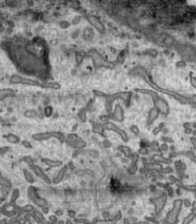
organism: Toxoplasma gondii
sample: Parasites in a vacuole inside a host cell